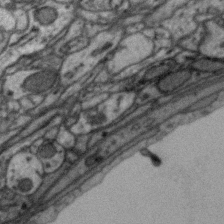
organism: Zebra finch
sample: Brain